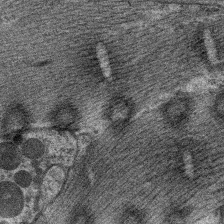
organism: C. elegans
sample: Pharynx